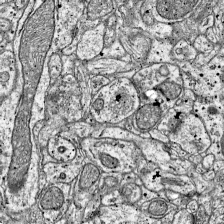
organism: Mouse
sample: Visual Cortex